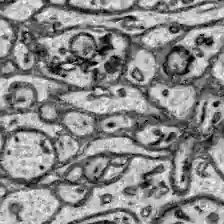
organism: Zebrafish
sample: Brain